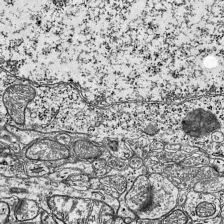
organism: Mouse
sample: Visual Cortex